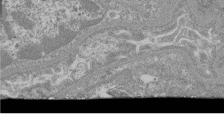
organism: Mouse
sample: Glomerulus